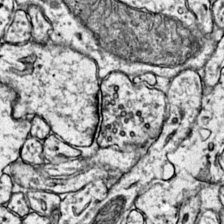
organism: Mouse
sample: Primary visual cortex